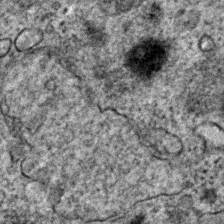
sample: Trachea